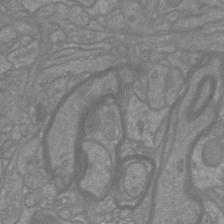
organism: Mouse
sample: Cortical neurons